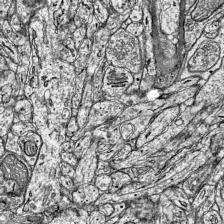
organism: Mouse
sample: Visual Cortex